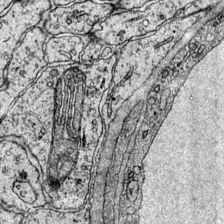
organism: Mouse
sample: Primary visual cortex